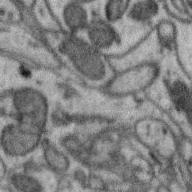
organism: Zebra finch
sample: Brain